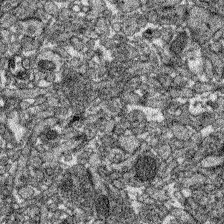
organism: Zebrafish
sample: Larval olfactory bulb